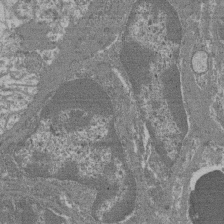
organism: Mouse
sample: Glomerulus